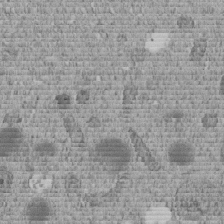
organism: C. elegans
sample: C. elegans embryo early stage